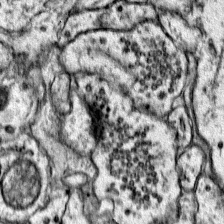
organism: Mouse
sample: Primary visual cortex